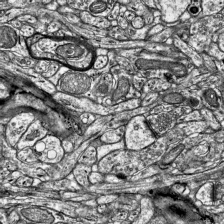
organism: Mouse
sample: Visual Cortex